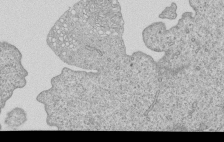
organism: Human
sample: MDA-MB-231 cells